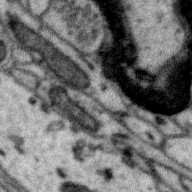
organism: Zebra finch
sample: Brain